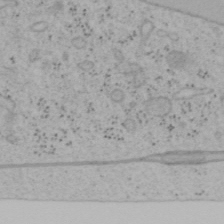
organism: Human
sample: HeLa cells